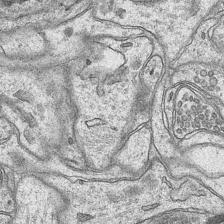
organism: Mouse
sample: CA1 Hippocampus